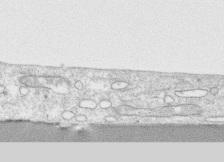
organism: Human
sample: CRL-1474